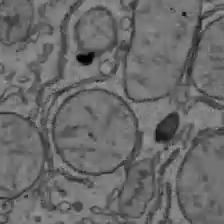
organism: C57BL Mouse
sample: Liver